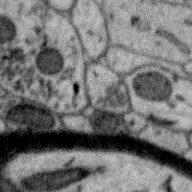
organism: Zebra finch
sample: Brain